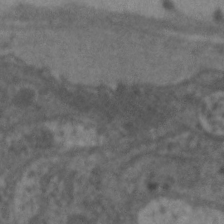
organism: C. elegans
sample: Pharynx